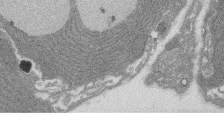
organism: Rat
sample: Salivary granule